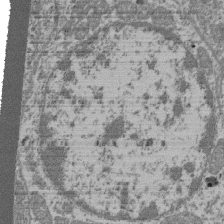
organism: Mouse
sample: Glomerulus